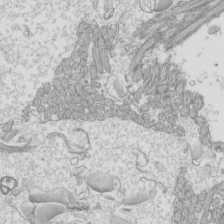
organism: Mouse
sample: Cilia; mouse epididymis